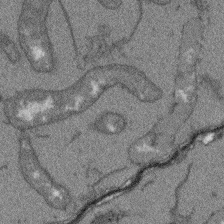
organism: Arabidopsis thaliana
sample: Root tip